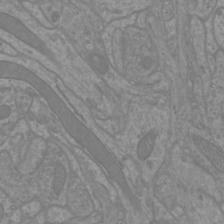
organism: Mouse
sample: Cortical neurons